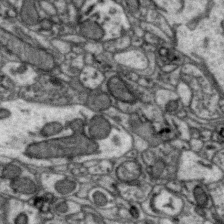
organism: Zebra finch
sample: Brain